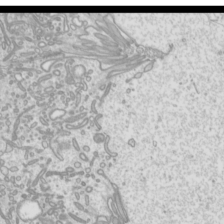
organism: Mouse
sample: Cilia; mouse epididymis